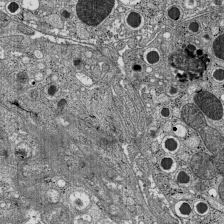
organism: C57BL Mouse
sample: Pancreatic islet